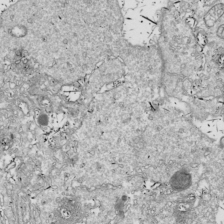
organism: Drosophila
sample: Cell division; meiosis; drosophila spermatocytes